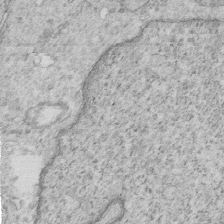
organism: Mouse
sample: Multiciliated cells